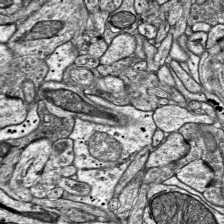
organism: Mouse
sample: Visual Cortex